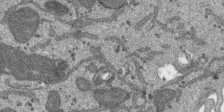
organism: Human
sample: Lung epithelial cells infected with SARS-CoV-2